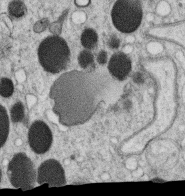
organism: C. elegans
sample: C. elegans oocyte; sperm cells